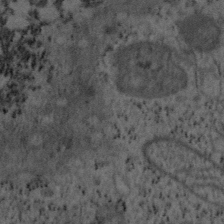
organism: Human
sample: HeLa cells